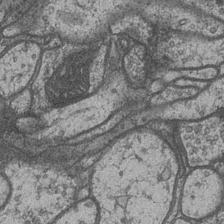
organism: Drosophila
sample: Optic medulla